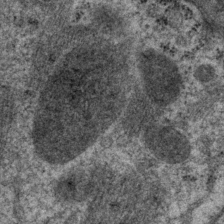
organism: P. pacificus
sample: Pharynx